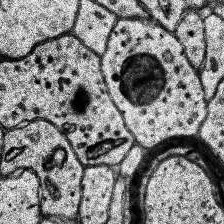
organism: Human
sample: Temporal Lobe